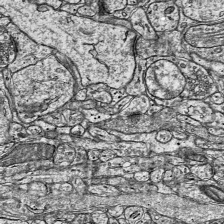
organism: Mouse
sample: Visual Cortex